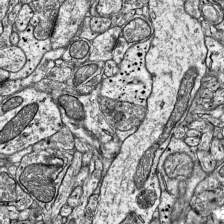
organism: Mouse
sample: Visual Cortex